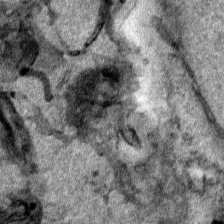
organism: Human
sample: Mitochondria in HCT116 cells